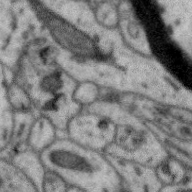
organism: Zebra finch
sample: Brain